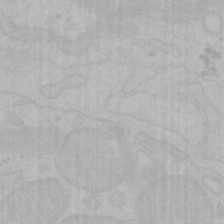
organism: Mouse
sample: Choroid plexus